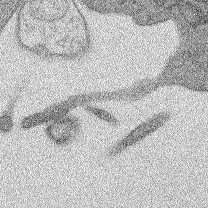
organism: Human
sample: HeLa cells